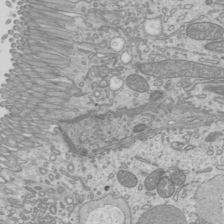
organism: Mouse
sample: Cilia; mouse epididymis